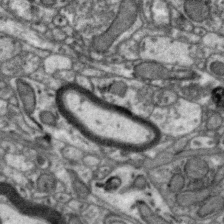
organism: Zebra finch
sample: Brain